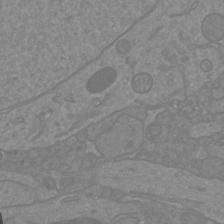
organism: Mouse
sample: Cortical neurons